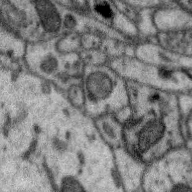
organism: Zebra finch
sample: Brain